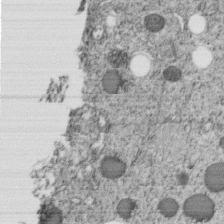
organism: C. elegans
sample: C. elegans embryo early stage